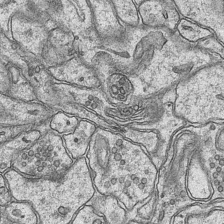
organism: Mouse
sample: CA1 Hippocampus